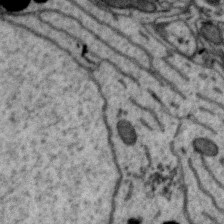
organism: Zebra finch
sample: Brain